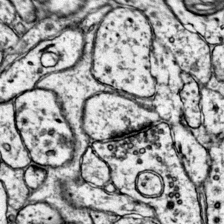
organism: Mouse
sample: Primary visual cortex